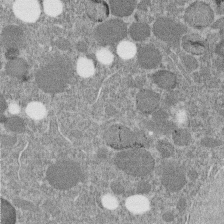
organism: C. elegans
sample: C. elegans embryo early stage